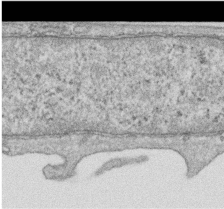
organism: Human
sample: Centriole in RPE cells